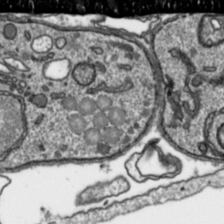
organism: Toxoplasma gondii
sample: Parasites in a vacuole inside a host cell